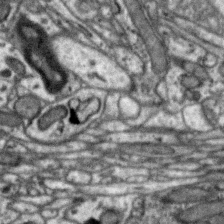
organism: Zebra finch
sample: Brain